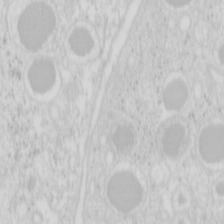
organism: Mouse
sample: Pancreas